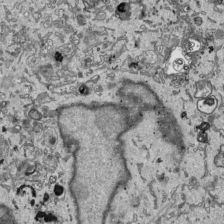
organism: Human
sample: Mitochondria in HCT116 cells